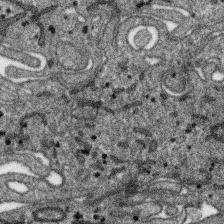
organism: Human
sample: Lung epithelial cells infected with SARS-CoV-2